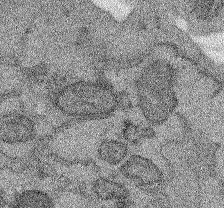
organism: Human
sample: HeLa cells